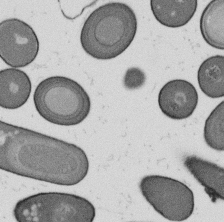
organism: B. subtilis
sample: Bacterial spore